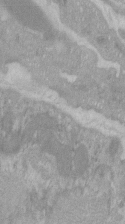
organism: C57BL Mouse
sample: Tibialis anterior muscle cell